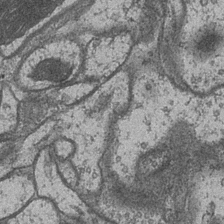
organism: Drosophila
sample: Optic medulla